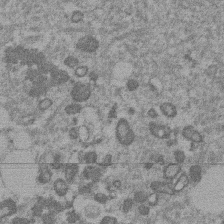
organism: Mouse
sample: Dividing mouse embryo 1 cell stage